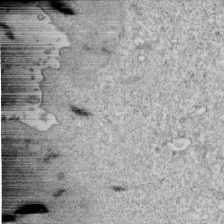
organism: Mouse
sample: Activated OT-1 CD8+ T cells